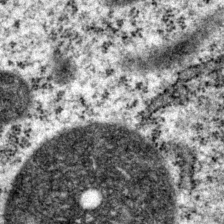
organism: P. pacificus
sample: Pharynx